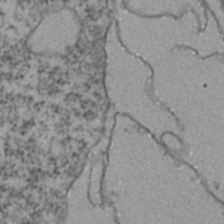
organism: Zebrafish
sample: Zebrafish embryo